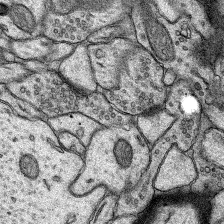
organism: Rat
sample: Hippocampus